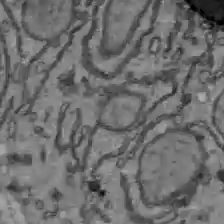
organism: C57BL Mouse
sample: Liver